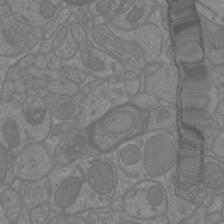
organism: Mouse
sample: Cortical neurons